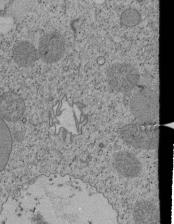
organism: Tetrahymena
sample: Cilia in tetrahymena